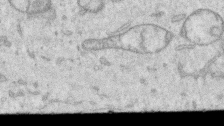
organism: Human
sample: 1205lu cells